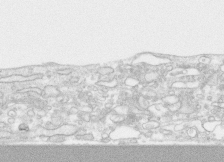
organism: Human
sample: CRL-1474